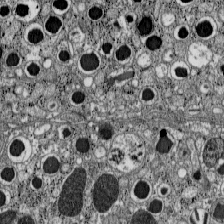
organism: C57BL Mouse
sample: Pancreatic islet